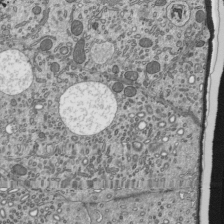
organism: Mouse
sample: Mouse epididymis efferent ductule cilia